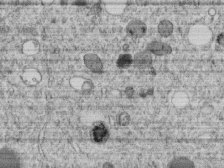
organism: C. elegans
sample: C. elegans embryo early stage